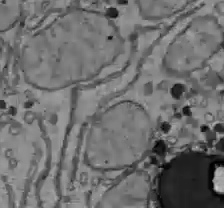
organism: C57BL Mouse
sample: Liver